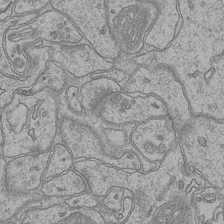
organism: Mouse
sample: CA1 Hippocampus